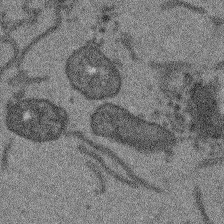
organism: Arabidopsis thaliana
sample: Root tip